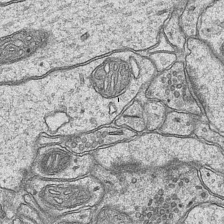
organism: Mouse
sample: CA1 Hippocampus